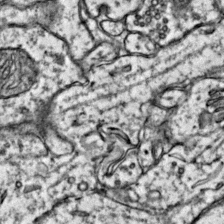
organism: Mouse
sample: Primary visual cortex